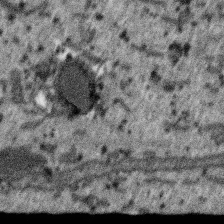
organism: Human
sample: Lung epithelial cells infected with SARS-CoV-2